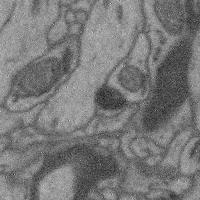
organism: Mouse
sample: Cerebral cortex